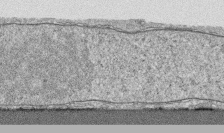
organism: Human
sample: CRL-1474